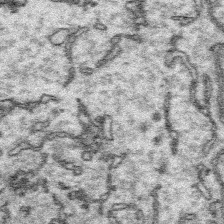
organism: Platynereis dumerilii